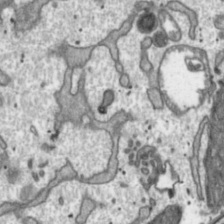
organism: Toxoplasma gondii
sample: Parasites in a vacuole inside a host cell